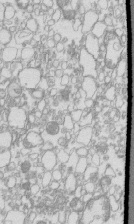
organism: Mouse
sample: Macrophages